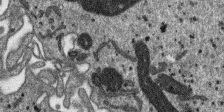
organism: Human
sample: Lung epithelial cells infected with SARS-CoV-2